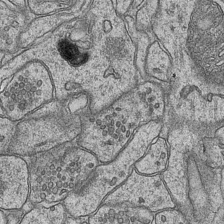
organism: Mouse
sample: CA1 Hippocampus